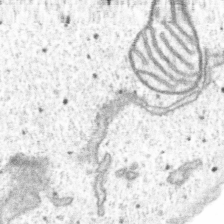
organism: Human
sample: HeLa cells